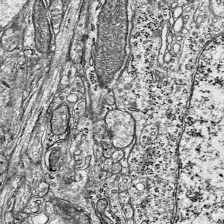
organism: Mouse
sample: Visual Cortex